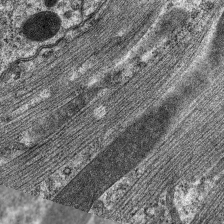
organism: C. elegans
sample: Pharynx